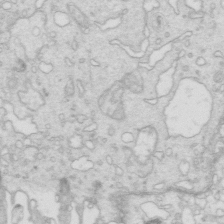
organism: Mouse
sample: Multiciliated cells